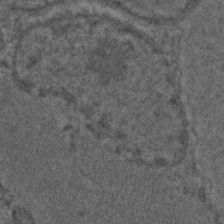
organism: C. elegans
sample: C. elegans embryo